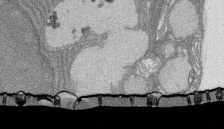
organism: Rat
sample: Salivary granule